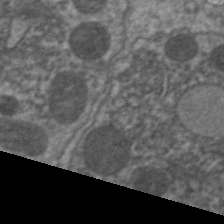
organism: C. elegans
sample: Pharynx